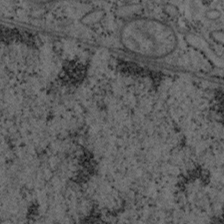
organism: Human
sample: HeLa cells